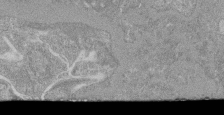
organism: Mouse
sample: Glomerulus